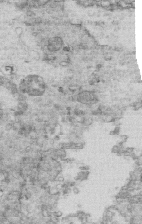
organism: Mouse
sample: Multiciliated cells